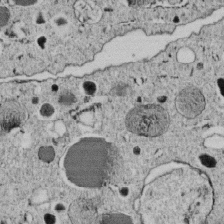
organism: C. elegans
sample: C. elegans embryo early stage